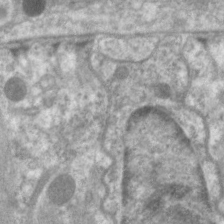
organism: C. elegans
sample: Pharynx